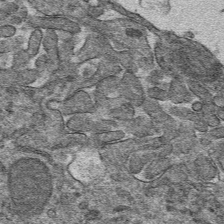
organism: Mouse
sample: Mouse hepatocytes